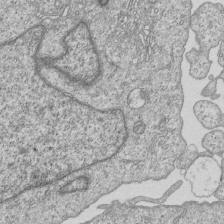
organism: Human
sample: MDA-MB-231 cells